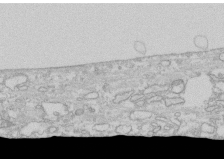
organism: Human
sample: CRL-1474